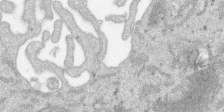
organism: Human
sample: Lung epithelial cells infected with SARS-CoV-2